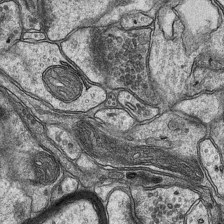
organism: Mouse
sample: CA1 Hippocampus